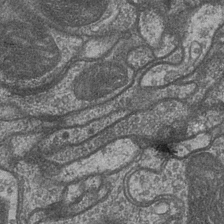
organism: Drosophila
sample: Optic medulla